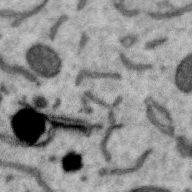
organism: Zebra finch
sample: Brain